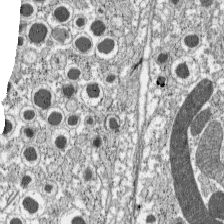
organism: C57BL Mouse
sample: Pancreatic islet